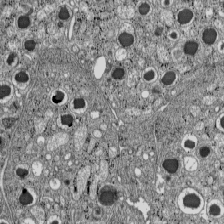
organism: C57BL Mouse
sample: Pancreatic islet